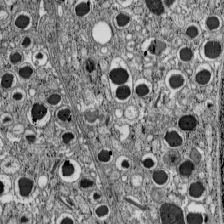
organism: C57BL Mouse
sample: Pancreatic islet